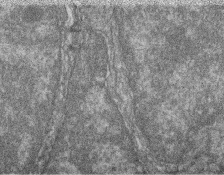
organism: Zebrafish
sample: Cilia; retinal pigment epithelium